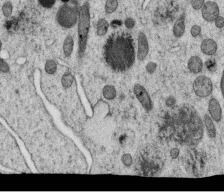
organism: C. elegans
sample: C. elegans oocyte; sperm cells